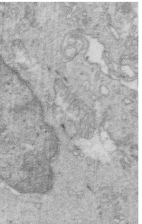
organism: Mouse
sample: Multiciliated cells